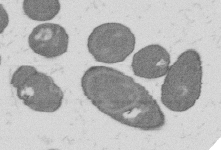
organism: B. subtilis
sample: Bacterial spore